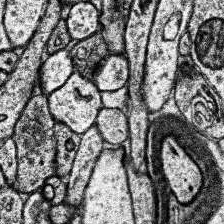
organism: Human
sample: Temporal Lobe